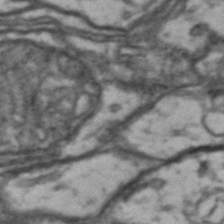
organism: Drosophila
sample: Brain